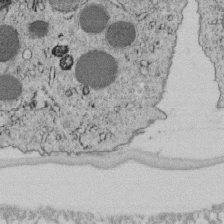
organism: C. elegans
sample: C. elegans embryo early stage